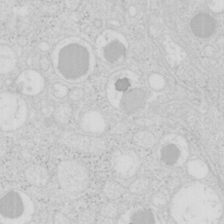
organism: Mouse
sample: Pancreas